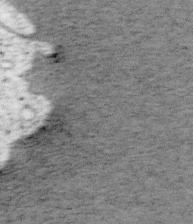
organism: Mouse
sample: OT-I killer T cells with ID8 ovarian cancer cells